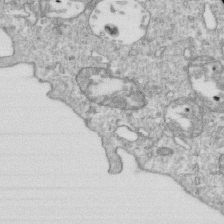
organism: Mouse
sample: Activated OT-1 CD8+ T cells